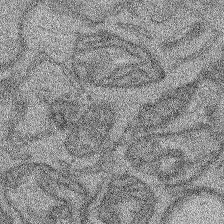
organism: Human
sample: HeLa cells